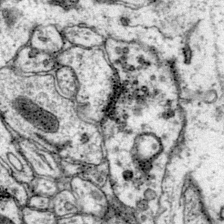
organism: Mouse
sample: Primary visual cortex